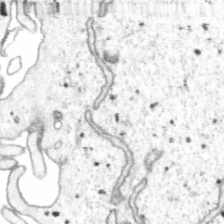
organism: Human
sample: HeLa cells